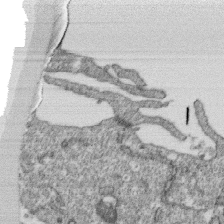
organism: African green monkey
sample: Vero E6 cells infected with SARS-CoV-2